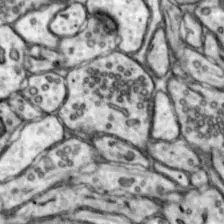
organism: Mouse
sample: Nucleus accumbens